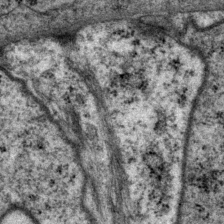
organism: P. pacificus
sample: Pharynx